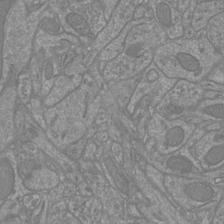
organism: Mouse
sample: Cortical neurons